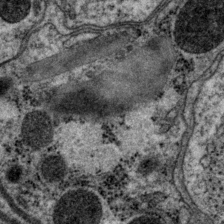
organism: P. pacificus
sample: Pharynx